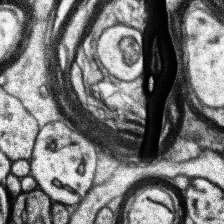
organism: Human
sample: Temporal Lobe